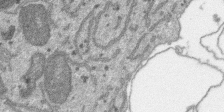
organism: Human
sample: Lung epithelial cells infected with SARS-CoV-2